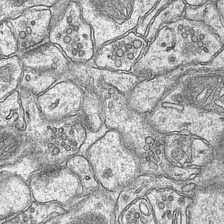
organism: Mouse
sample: CA1 Hippocampus